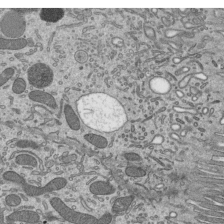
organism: Mouse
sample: Mouse epididymis efferent ductule cilia